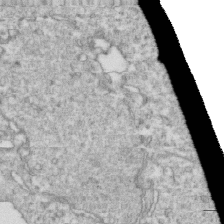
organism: Mouse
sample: Activated OT-1 CD8+ T cells